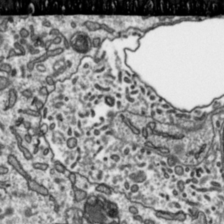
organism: Toxoplasma gondii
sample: Parasites in a vacuole inside a host cell